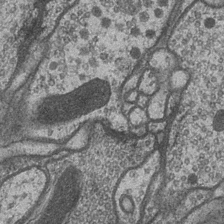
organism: Drosophila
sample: Optic medulla